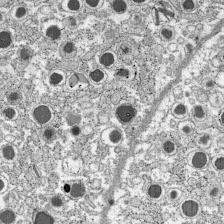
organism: C57BL Mouse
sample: Pancreatic islet